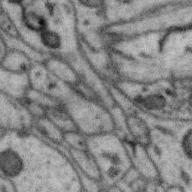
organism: Zebra finch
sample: Brain